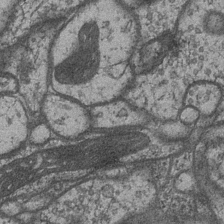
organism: Drosophila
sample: Optic medulla